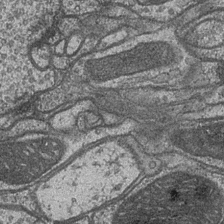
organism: Drosophila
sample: Optic medulla